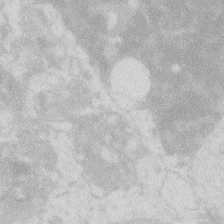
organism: Zebrafish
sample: Macrophage